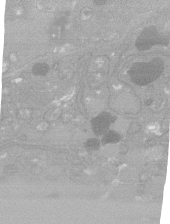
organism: C. elegans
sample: C. elegans oocyte; sperm cells